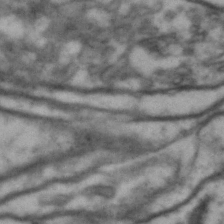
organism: Drosophila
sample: Brain